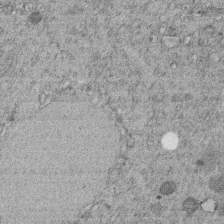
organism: C. elegans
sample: C. elegans embryo early stage